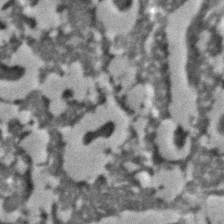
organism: C. elegans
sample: C. elegans embryo